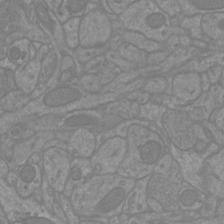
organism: Mouse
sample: Cortical neurons